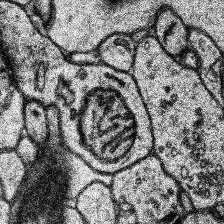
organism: Human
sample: Temporal Lobe